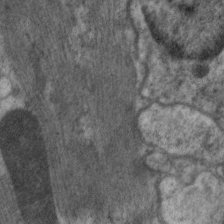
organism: C. elegans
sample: Pharynx